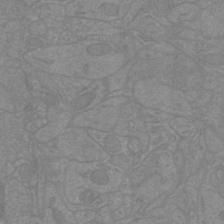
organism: Mouse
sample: Cortical neurons